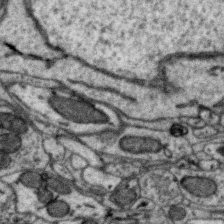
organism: Zebra finch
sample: Brain